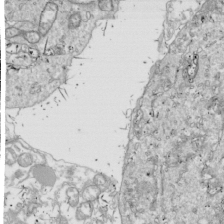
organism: Drosophila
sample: Cell division; meiosis; drosophila spermatocytes